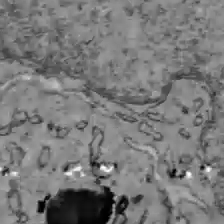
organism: C57BL Mouse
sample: Liver